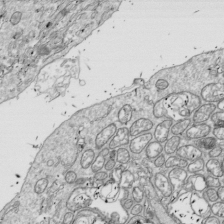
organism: Drosophila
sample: Cell division; meiosis; drosophila spermatocytes